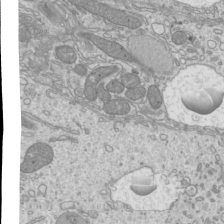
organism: Mouse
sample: Cilia; mouse epididymis